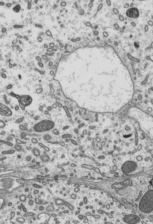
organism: Mouse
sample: Mouse epididymis efferent ductule cilia